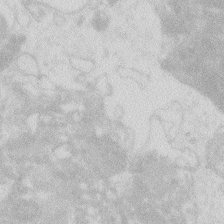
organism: Zebrafish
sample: Macrophage